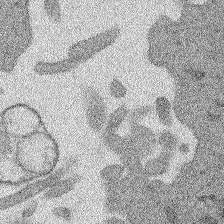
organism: Human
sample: HeLa cells